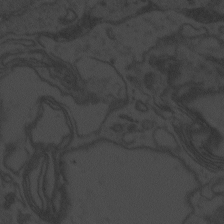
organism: Zebrafish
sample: Macrophage infected with Toxoplasma gondii